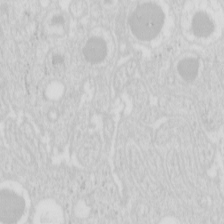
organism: Mouse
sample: Pancreas